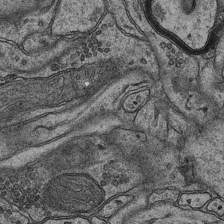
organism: Mouse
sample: CA1 Hippocampus